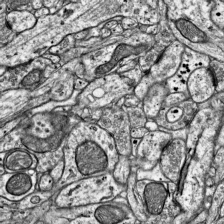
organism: Mouse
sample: Visual Cortex